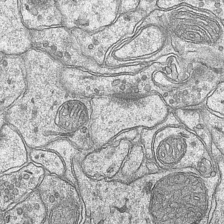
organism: Mouse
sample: CA1 Hippocampus